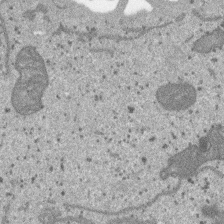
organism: Human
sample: Lung epithelial cells infected with SARS-CoV-2